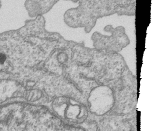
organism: Human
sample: MDA-MB-231 cells